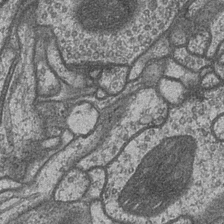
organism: Drosophila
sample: Optic medulla